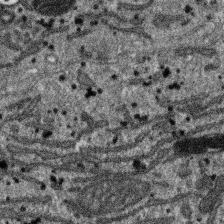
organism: Human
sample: Lung epithelial cells infected with SARS-CoV-2